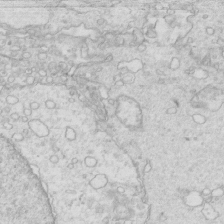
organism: Mouse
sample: Multiciliated cells